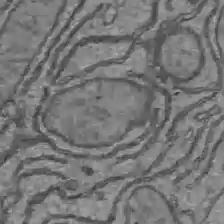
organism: C57BL Mouse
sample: Liver